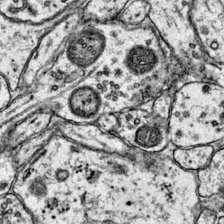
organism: Mouse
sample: Primary visual cortex